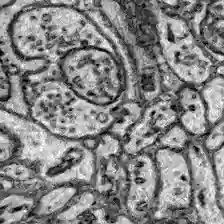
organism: Zebrafish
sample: Brain